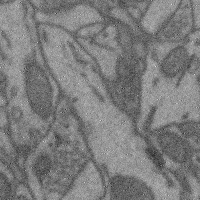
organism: Mouse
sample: Cerebral cortex